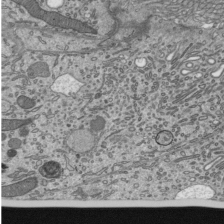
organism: Mouse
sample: Mouse epididymis efferent ductule cilia